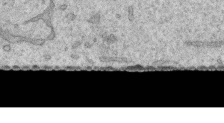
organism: Human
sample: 1205lu cells